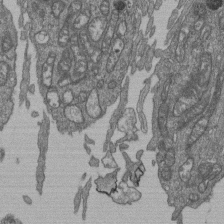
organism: Human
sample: Retinal organoid Rod and Cone cells